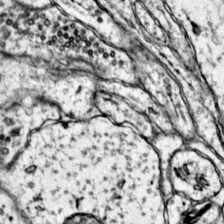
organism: Mouse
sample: Primary visual cortex